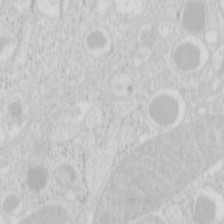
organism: Mouse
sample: Pancreas